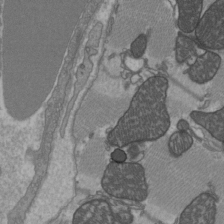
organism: C57BL Mouse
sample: Heart